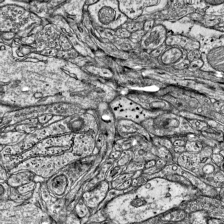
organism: Mouse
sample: Visual Cortex